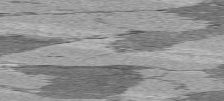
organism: C57BL Mouse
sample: Heart